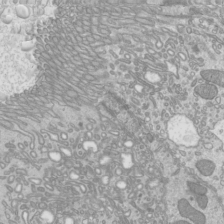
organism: Mouse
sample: Cilia; mouse epididymis